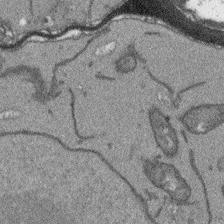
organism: Arabidopsis thaliana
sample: Root tip